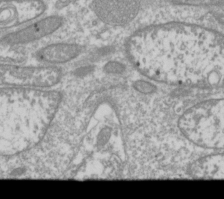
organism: Drosophila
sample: Cell division; meiosis; drosophila spermatocytes